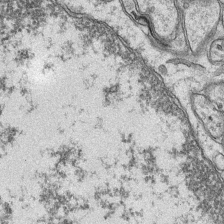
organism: Mouse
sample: CA1 Hippocampus